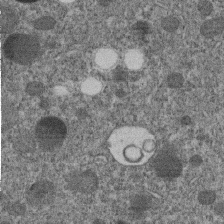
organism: C. elegans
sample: C. elegans embryo early stage